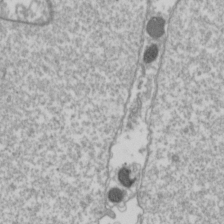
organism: Drosophila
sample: Cell division; meiosis; drosophila spermatocytes